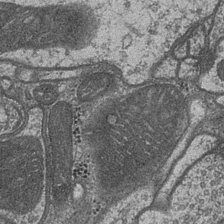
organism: Drosophila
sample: Optic medulla